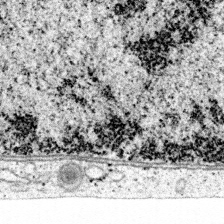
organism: Human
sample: HeLa cells